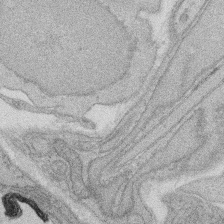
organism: Rat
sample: Salivary granule